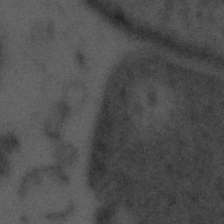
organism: Tuwongella immobilis